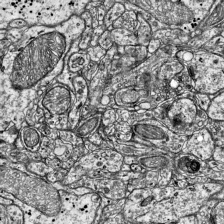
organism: Mouse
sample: Visual Cortex